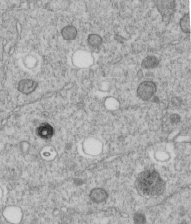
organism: C. elegans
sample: C. elegans embryo early stage